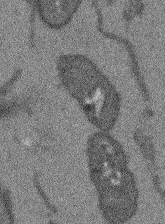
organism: Arabidopsis thaliana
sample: Root tip